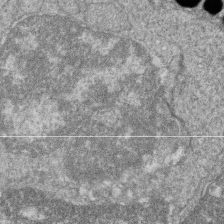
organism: Zebrafish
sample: Cilia; retinal pigment epithelium